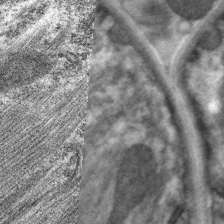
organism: C. elegans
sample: Pharynx